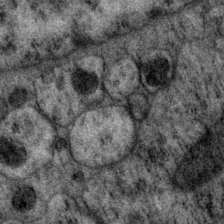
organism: P. pacificus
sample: Pharynx